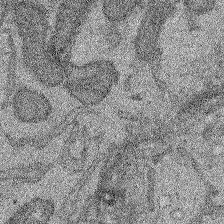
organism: Human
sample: HeLa cells